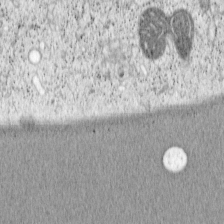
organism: African green monkey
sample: COS-7 cells